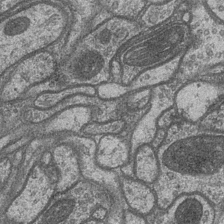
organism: Drosophila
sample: Optic medulla